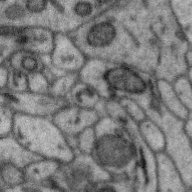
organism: Zebra finch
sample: Brain